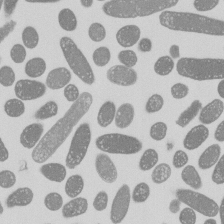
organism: E. coli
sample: Bacterial nucleoid